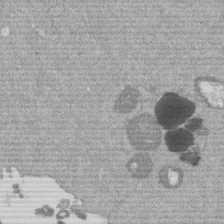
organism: Mouse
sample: Dividing mouse embryo 1 cell stage